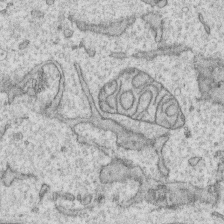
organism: Human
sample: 1205lu cells